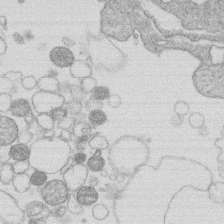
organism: Human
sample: Macrophage cells